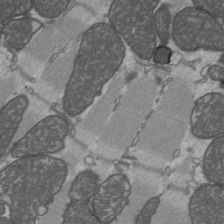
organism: C57BL Mouse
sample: Heart